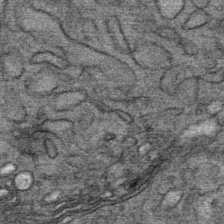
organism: Mouse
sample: Mouse Salivary gland